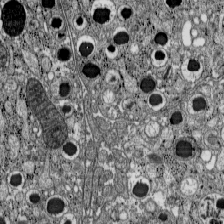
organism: C57BL Mouse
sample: Pancreatic islet